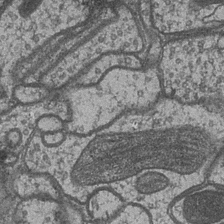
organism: Drosophila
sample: Optic medulla